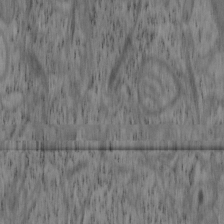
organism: Human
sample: HeLa cells